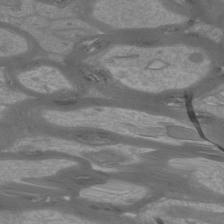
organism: Mouse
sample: Cortical neurons